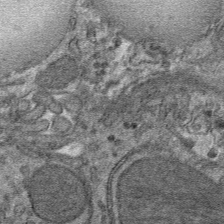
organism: Mouse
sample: Mouse hepatocytes